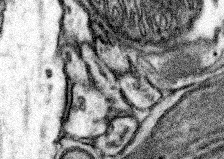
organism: Mouse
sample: Somatosensory cortex neuropil